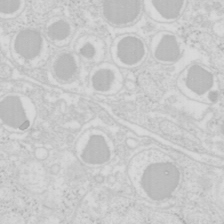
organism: Mouse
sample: Pancreas